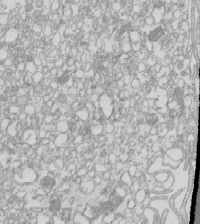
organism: Mouse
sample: Macrophages